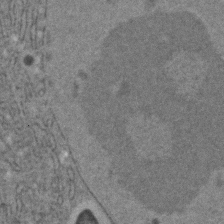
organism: C. elegans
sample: C. elegans embryo